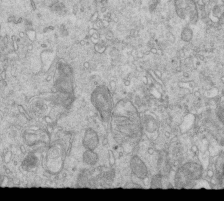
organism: Mouse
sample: Multiciliated cells